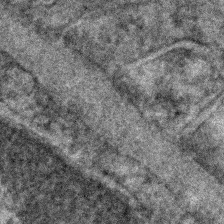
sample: Kidney